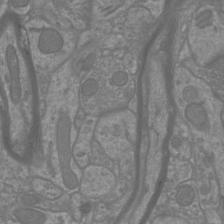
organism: Mouse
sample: Cortical neurons